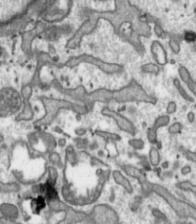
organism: Toxoplasma gondii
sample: Parasites in a vacuole inside a host cell